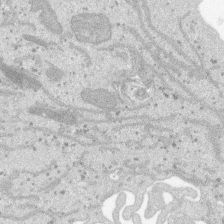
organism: Human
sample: Lung epithelial cells infected with SARS-CoV-2